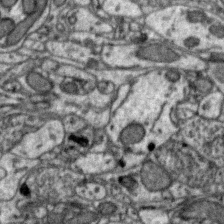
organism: Zebra finch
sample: Brain